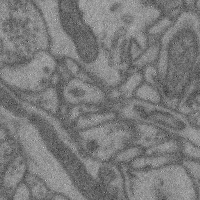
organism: Mouse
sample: Cerebral cortex